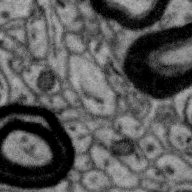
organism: Zebra finch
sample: Brain